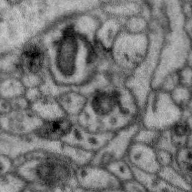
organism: Zebra finch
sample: Brain